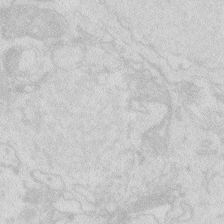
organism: Zebrafish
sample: Macrophage